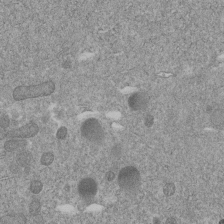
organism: C. elegans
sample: C. elegans embryo early stage